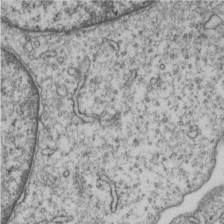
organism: Human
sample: MDA-MB-231 cells